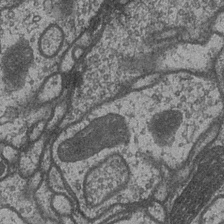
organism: Drosophila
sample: Optic medulla